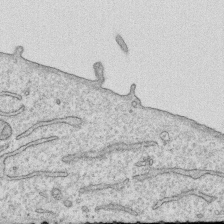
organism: Human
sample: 1205lu cells